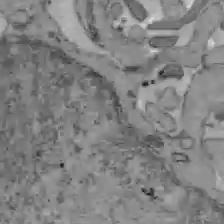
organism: C57BL Mouse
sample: Liver